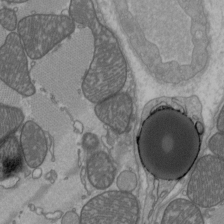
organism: C57BL Mouse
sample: Heart